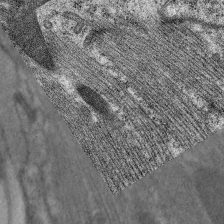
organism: C. elegans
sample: Pharynx